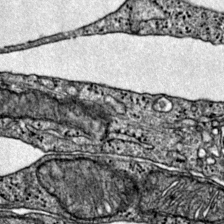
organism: Mouse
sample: Primary visual cortex